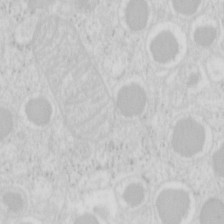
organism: Mouse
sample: Pancreas